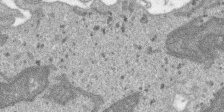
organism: Human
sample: Lung epithelial cells infected with SARS-CoV-2